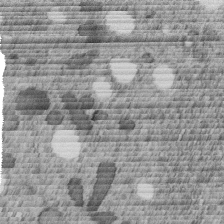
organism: C. elegans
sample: C. elegans embryo early stage